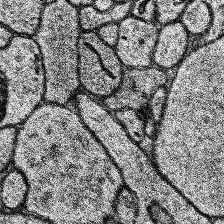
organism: Human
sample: Temporal Lobe